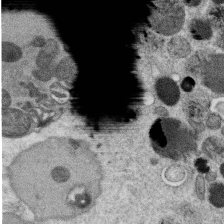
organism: C. elegans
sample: C. elegans oocyte; sperm cells